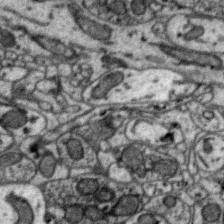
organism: Zebra finch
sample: Brain